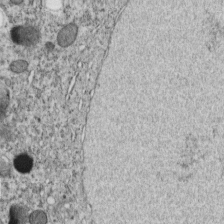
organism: C. elegans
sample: C. elegans embryo early stage